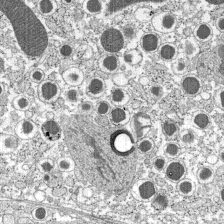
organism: C57BL Mouse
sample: Pancreatic islet